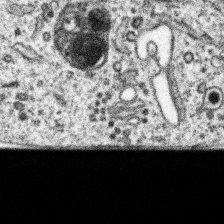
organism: Human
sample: HeLa cells